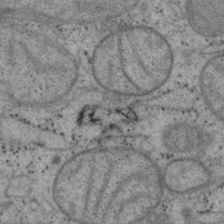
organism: Human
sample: HeLa cells